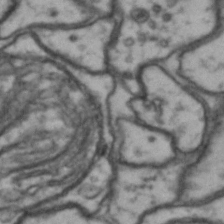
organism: Drosophila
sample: Brain